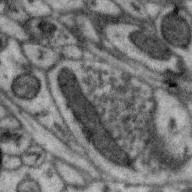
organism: Zebra finch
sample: Brain